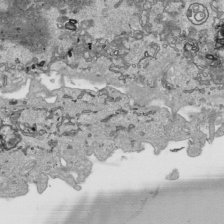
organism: Human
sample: Mitochondria in HCT116 cells